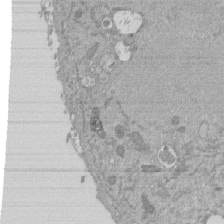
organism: Mouse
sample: ED-1 cell nuclei; centrioles